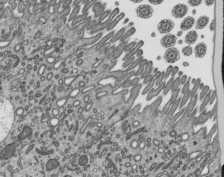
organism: Mouse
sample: Mouse epididymis efferent ductule cilia